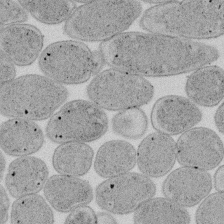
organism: E. coli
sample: Bacterial nucleoid